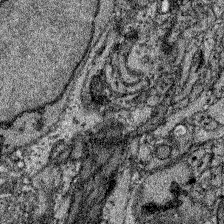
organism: Zebrafish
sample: Larval olfactory bulb